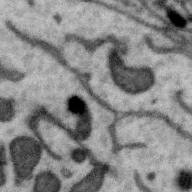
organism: Zebra finch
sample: Brain